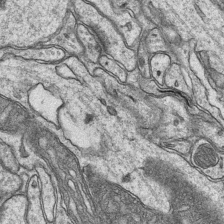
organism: Mouse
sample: CA1 Hippocampus